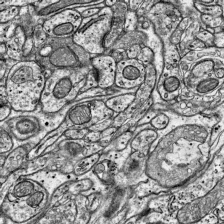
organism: Mouse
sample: Visual Cortex